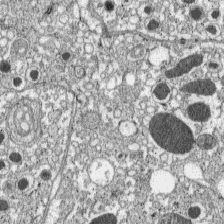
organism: C57BL Mouse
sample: Pancreatic islet